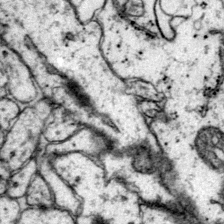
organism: Mouse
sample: Primary visual cortex